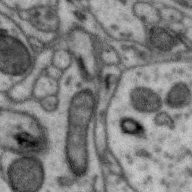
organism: Zebra finch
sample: Brain